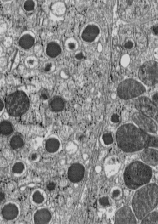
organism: C57BL Mouse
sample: Pancreatic islet